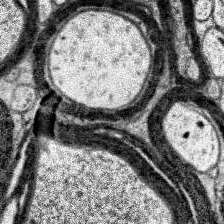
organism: Human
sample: Temporal Lobe